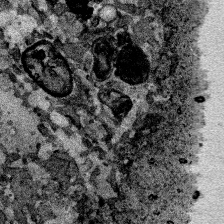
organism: Human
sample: Mitochondria in HCT116 cells